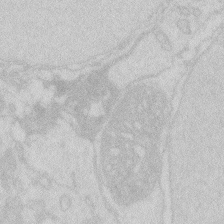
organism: Zebrafish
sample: Macrophage